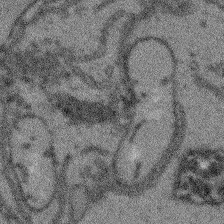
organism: Arabidopsis thaliana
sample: Root tip